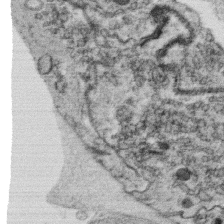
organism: C. elegans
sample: C. elegans oocyte; sperm cells